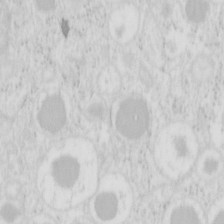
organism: Mouse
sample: Pancreas